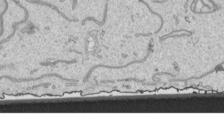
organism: Human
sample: Mitochondria in HCT116 cells